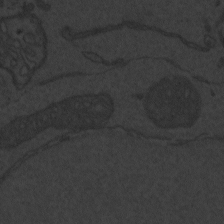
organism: Zebrafish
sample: Macrophage infected with Toxoplasma gondii